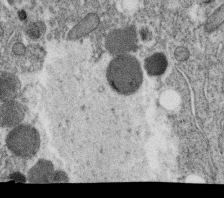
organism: C. elegans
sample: C. elegans oocyte; sperm cells